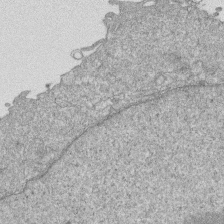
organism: Human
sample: HeLa cell HIV synapse